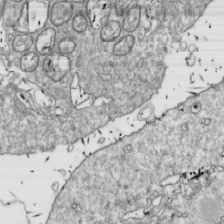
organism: Drosophila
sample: Cell division; meiosis; drosophila spermatocytes